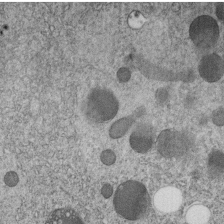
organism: C. elegans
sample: C. elegans embryo early stage